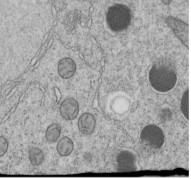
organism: C. elegans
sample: C. elegans embryo early stage